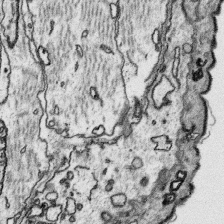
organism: Platynereis dumerilii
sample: Parapodia